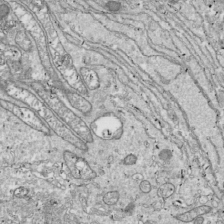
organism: Drosophila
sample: Cell division; meiosis; drosophila spermatocytes